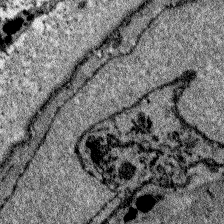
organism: Zebrafish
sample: Larval olfactory bulb